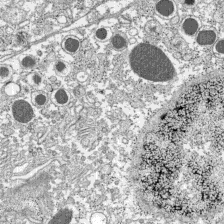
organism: C57BL Mouse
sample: Pancreatic islet